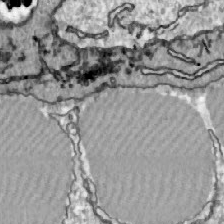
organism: Zebrafish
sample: Actinotrichia fibers